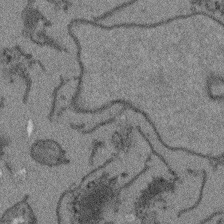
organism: Arabidopsis thaliana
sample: Root tip